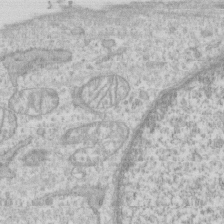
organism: Human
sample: CRL-1474